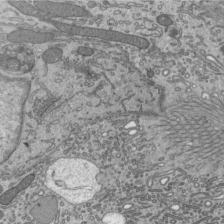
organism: Mouse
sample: Mouse epididymis efferent ductule cilia